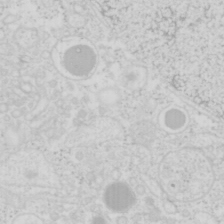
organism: Mouse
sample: Pancreas